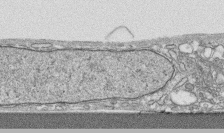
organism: Human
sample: CRL-1474